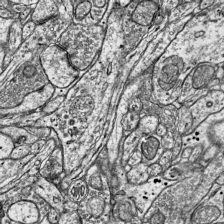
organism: Mouse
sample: Visual Cortex